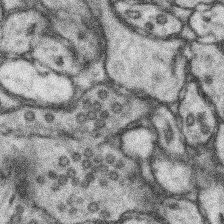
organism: Mouse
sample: Somatosensory cortex neuropil